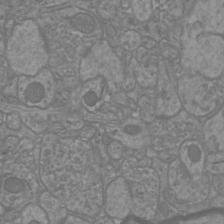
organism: Mouse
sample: Cortical neurons